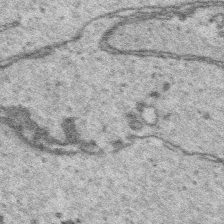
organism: Platynereis dumerilii